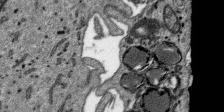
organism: Human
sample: Lung epithelial cells, uninfected (mock) control